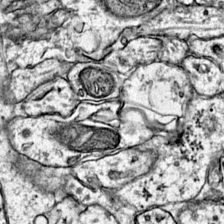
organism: Mouse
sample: Primary visual cortex